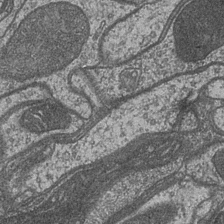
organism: Drosophila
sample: Optic medulla